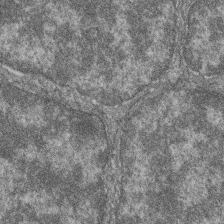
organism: Zebrafish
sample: Cilia; retinal pigment epithelium